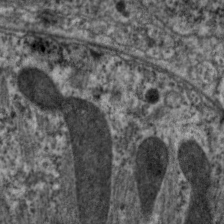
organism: C. elegans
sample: Pharynx